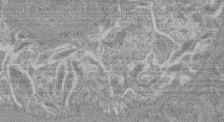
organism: Mouse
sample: Glomerulus